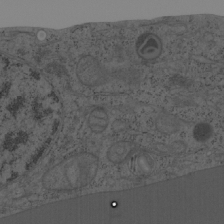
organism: Human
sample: HeLa cells